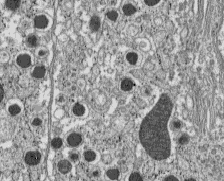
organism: C57BL Mouse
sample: Pancreatic islet